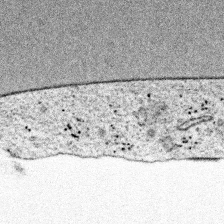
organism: Human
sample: HeLa cells